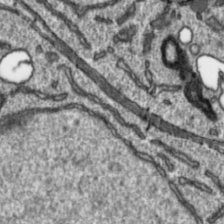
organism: Toxoplasma gondii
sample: Parasites in a vacuole inside a host cell